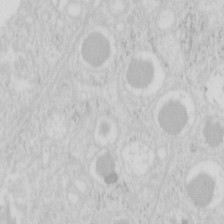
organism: Mouse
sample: Pancreas